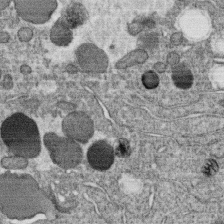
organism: C. elegans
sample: C. elegans oocyte; sperm cells